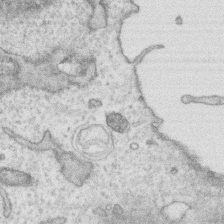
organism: Human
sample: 1205lu cells